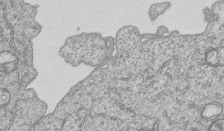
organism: Human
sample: MDA-MB-231 cells